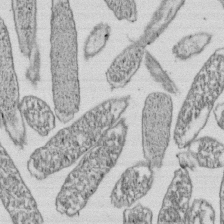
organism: E. coli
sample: Bacterial nucleoid